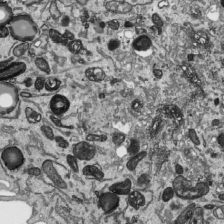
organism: Human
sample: Mitochondria in HCT116 cells